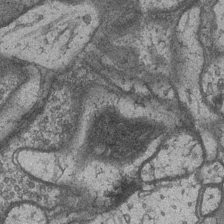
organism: Drosophila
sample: Optic medulla